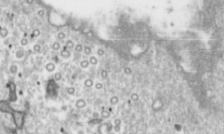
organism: Toxoplasma gondii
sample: Parasites in a vacuole inside a host cell